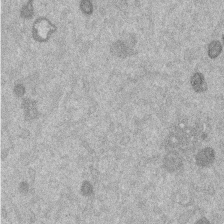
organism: Mouse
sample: Dividing mouse embryo 1 cell stage